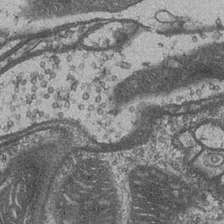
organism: Drosophila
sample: Optic medulla